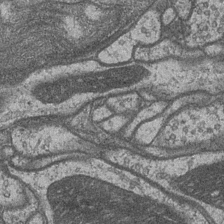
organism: Drosophila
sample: Optic medulla